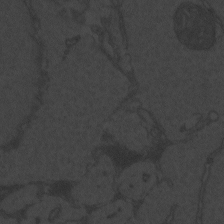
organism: Zebrafish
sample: Macrophage infected with Toxoplasma gondii